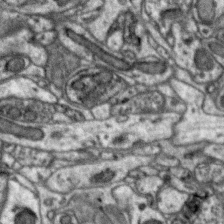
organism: Zebra finch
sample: Brain